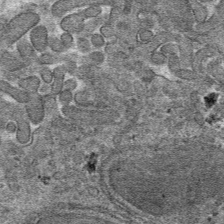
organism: Mouse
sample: Mouse hepatocytes